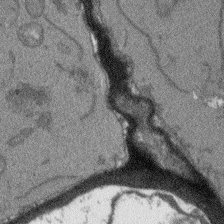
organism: Arabidopsis thaliana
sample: Root tip